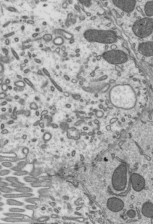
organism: Mouse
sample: Mouse epididymis efferent ductule cilia